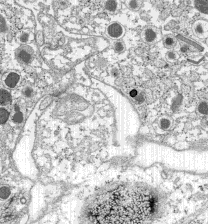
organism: C57BL Mouse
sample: Pancreatic islet